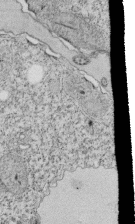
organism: Tetrahymena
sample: Cilia in tetrahymena